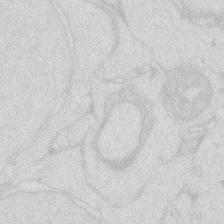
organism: Zebrafish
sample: Macrophage